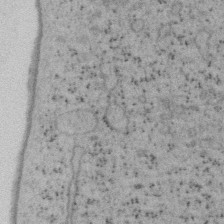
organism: Human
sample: HeLa cells